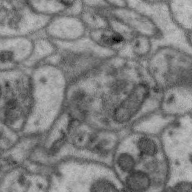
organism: Zebra finch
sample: Brain